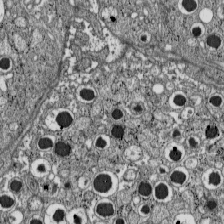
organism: C57BL Mouse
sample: Pancreatic islet